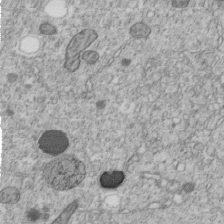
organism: C. elegans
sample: C. elegans embryo early stage